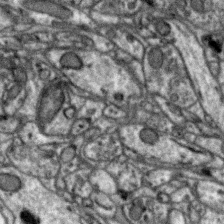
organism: Zebra finch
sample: Brain